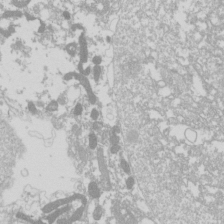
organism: Drosophila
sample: Cell division; meiosis; drosophila spermatocytes